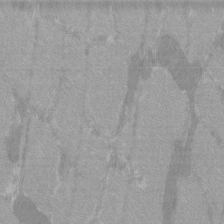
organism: C57BL Mouse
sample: Tibialis anterior muscle cell